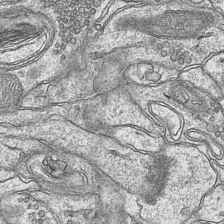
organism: Mouse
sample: CA1 Hippocampus